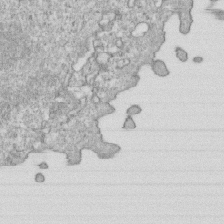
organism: Mouse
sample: Activated OT-1 CD8+ T cells